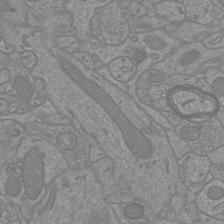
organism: Mouse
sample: Cortical neurons